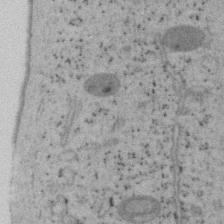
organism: Human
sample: HeLa cells